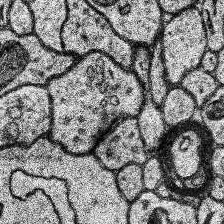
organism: Human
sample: Temporal Lobe